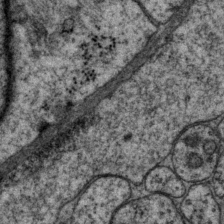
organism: P. pacificus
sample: Pharynx